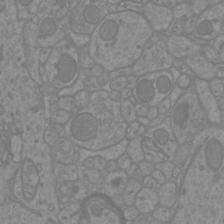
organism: Mouse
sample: Cortical neurons